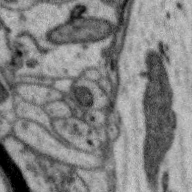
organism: Zebra finch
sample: Brain